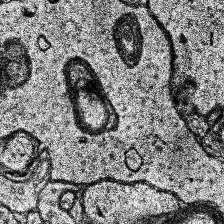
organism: Human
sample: Temporal Lobe